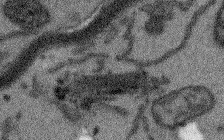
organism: Arabidopsis thaliana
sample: Root tip